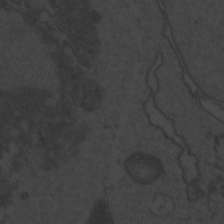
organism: Zebrafish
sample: Macrophage infected with Toxoplasma gondii